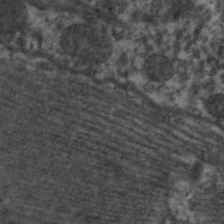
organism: C. elegans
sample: Pharynx